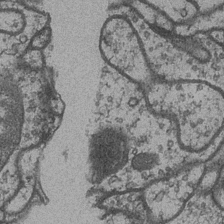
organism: Drosophila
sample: Optic medulla